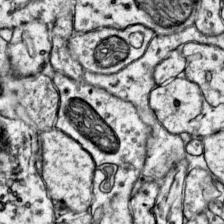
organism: Mouse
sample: Primary visual cortex